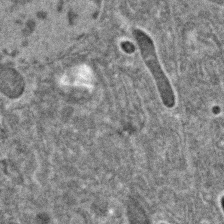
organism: C. elegans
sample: C. elegans embryo